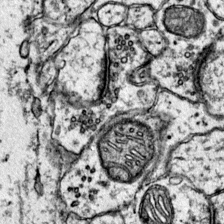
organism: Mouse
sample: Primary visual cortex